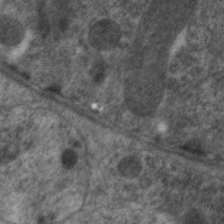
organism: C. elegans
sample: Pharynx